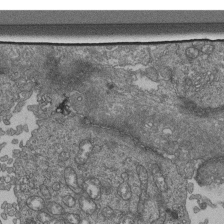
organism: Human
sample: Retinal organoid Rod and Cone cells